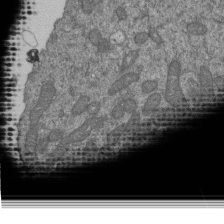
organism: Human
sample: Retinal organoid Rod and Cone cells